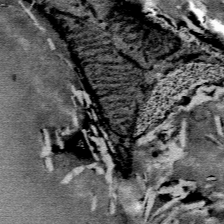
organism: Mouse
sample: Mouse Salivary gland